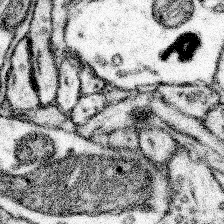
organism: Mouse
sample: Somatosensory cortex neuropil